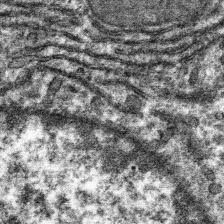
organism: Mouse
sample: Mouse hepatocytes